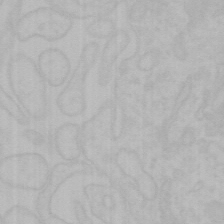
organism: Mouse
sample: Choroid plexus